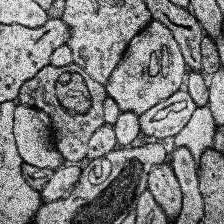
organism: Human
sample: Temporal Lobe